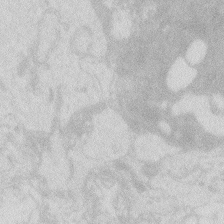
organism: Zebrafish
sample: Macrophage